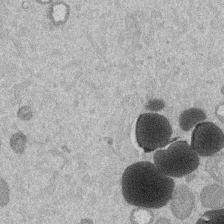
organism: Mouse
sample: Dividing mouse embryo 1 cell stage